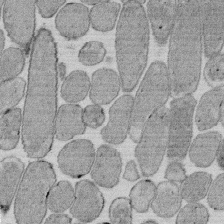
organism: E. coli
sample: Bacterial nucleoid